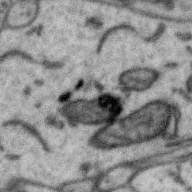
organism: Zebra finch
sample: Brain